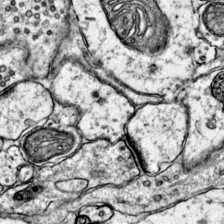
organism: Mouse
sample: Primary visual cortex